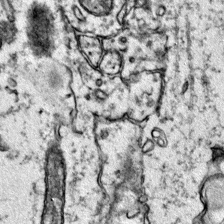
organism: Mouse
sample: Primary visual cortex